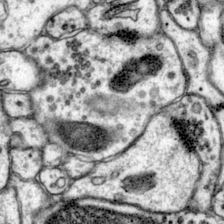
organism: Mouse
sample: Primary visual cortex